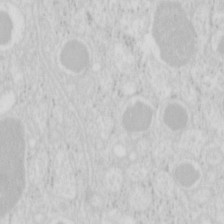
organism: Mouse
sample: Pancreas